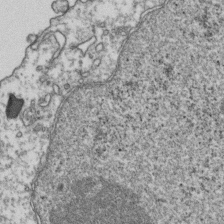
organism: Human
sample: Activated Jurkat CD4+ T cells